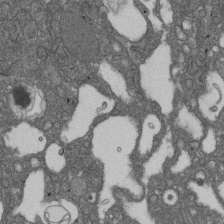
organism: Drosophila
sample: Nephrocyte